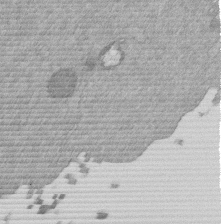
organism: Mouse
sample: Dividing mouse embryo 1 cell stage